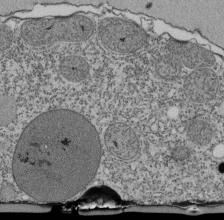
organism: Tetrahymena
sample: Cilia in tetrahymena